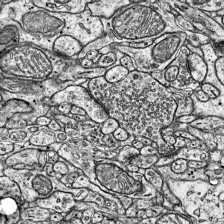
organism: Mouse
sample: Visual Cortex